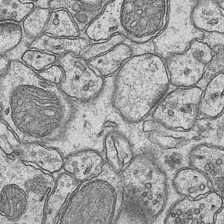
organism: Mouse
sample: CA1 Hippocampus